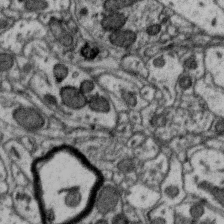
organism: Zebra finch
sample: Brain